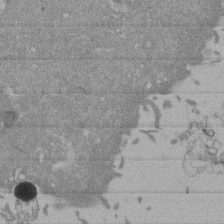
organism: Mouse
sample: ED-1 cell nuclei; centrioles